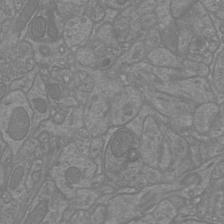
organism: Mouse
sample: Cortical neurons